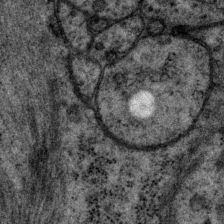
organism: P. pacificus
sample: Pharynx